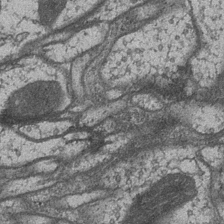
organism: Drosophila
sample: Optic medulla